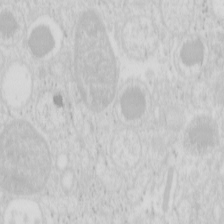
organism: Mouse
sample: Pancreas